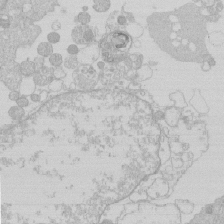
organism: Human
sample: Macrophage cells